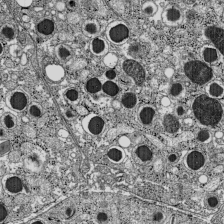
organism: C57BL Mouse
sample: Pancreatic islet